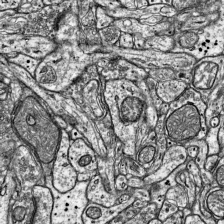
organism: Mouse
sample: Visual Cortex